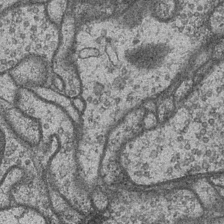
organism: Drosophila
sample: Optic medulla